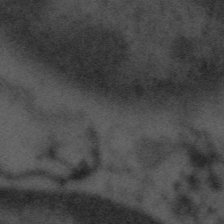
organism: Tuwongella immobilis